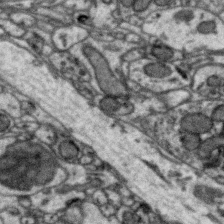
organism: Zebra finch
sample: Brain